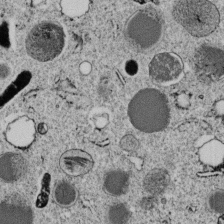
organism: C. elegans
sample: C. elegans embryo early stage